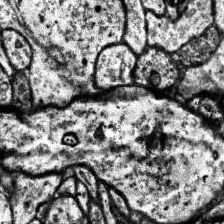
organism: Human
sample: Temporal Lobe